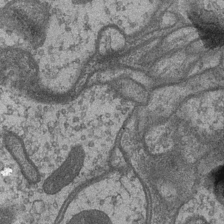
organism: Drosophila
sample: Optic medulla